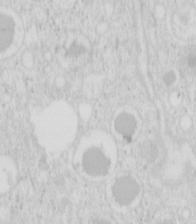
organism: Mouse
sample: Pancreas